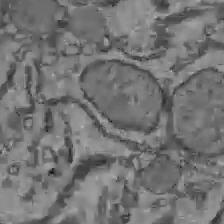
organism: C57BL Mouse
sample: Liver